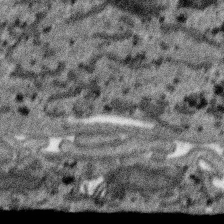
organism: Human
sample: Lung epithelial cells infected with SARS-CoV-2